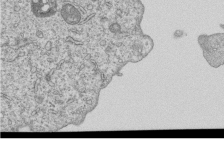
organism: Human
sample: MDA-MB-231 cells